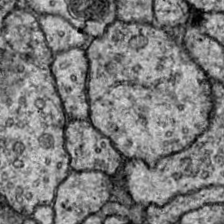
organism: Drosophila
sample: Ventral Nerve Cord